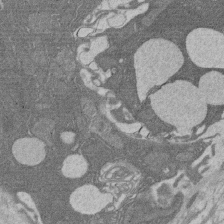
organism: Rat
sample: Salivary granule